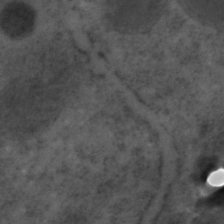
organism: C. elegans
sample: C. elegans embryo